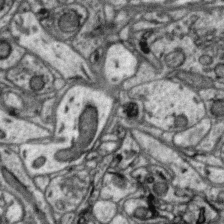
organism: Zebra finch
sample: Brain